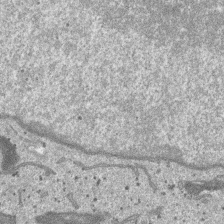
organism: Human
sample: Lung epithelial cells infected with SARS-CoV-2